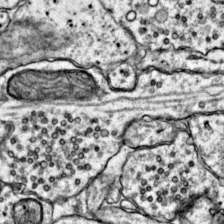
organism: Mouse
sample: Primary visual cortex